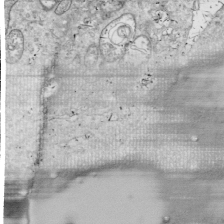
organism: Drosophila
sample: Cell division; meiosis; drosophila spermatocytes